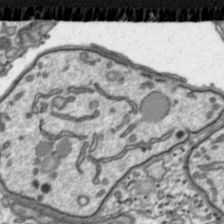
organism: Toxoplasma gondii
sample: Parasites in a vacuole inside a host cell